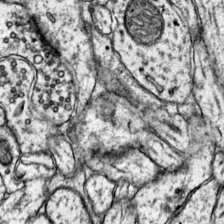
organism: Mouse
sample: Primary visual cortex